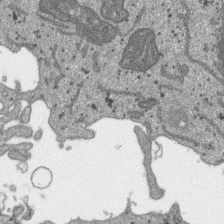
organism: Human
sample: Lung epithelial cells infected with SARS-CoV-2